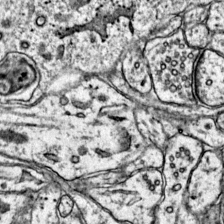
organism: Mouse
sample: Primary visual cortex